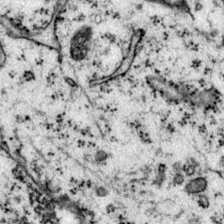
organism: Mouse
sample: Primary visual cortex